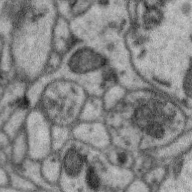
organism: Zebra finch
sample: Brain